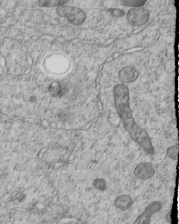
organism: C. elegans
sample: C. elegans embryo early stage